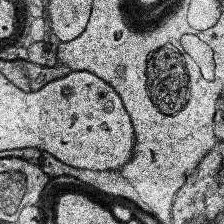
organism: Human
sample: Temporal Lobe